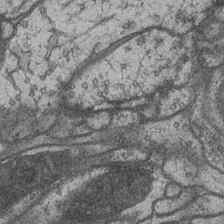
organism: Drosophila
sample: Optic medulla